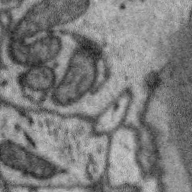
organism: Zebra finch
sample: Brain